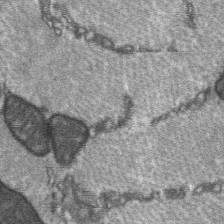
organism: C57BL Mouse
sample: Soleus